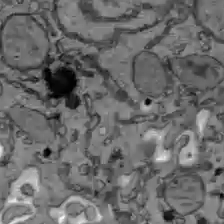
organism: C57BL Mouse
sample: Liver